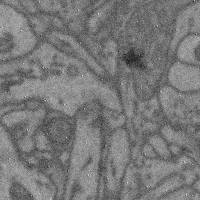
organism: Mouse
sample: Cerebral cortex